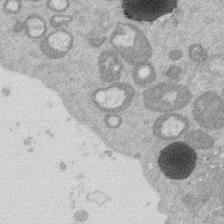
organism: Mouse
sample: Dividing mouse embryo 1 cell stage